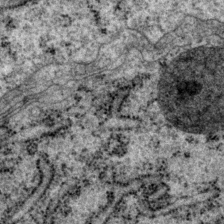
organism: P. pacificus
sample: Pharynx